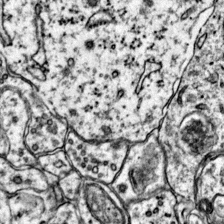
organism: Mouse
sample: Primary visual cortex